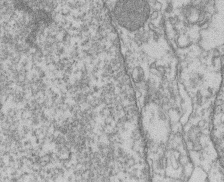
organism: Mouse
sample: T cell stromal cell synapse